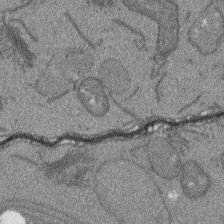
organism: Arabidopsis thaliana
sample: Root tip